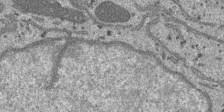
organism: Human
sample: Lung epithelial cells infected with SARS-CoV-2